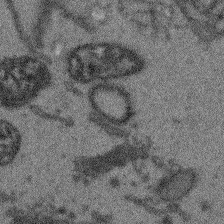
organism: Arabidopsis thaliana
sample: Root tip